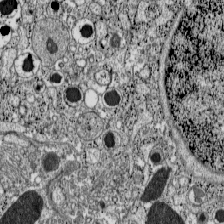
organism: C57BL Mouse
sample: Pancreatic islet